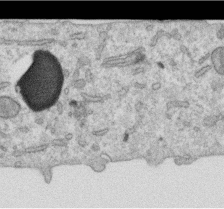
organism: Human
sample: Centriole in RPE cells